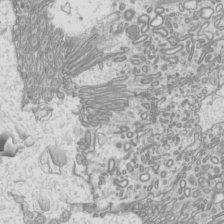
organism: Mouse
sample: Cilia; mouse epididymis